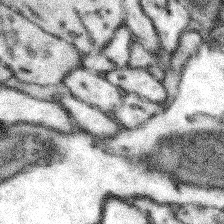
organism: Mouse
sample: Somatosensory cortex neuropil